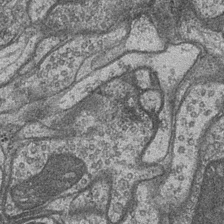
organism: Drosophila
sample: Optic medulla